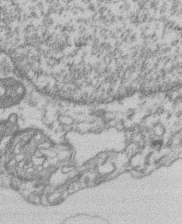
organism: Mouse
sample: T cell stromal cell synapse